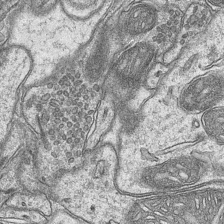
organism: Mouse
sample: CA1 Hippocampus